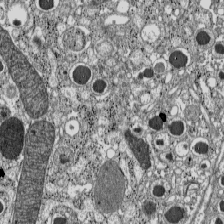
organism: C57BL Mouse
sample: Pancreatic islet